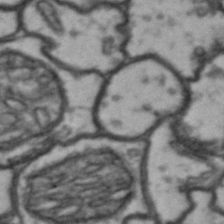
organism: Drosophila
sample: Brain